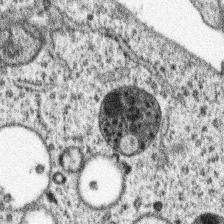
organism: Human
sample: HeLa cells